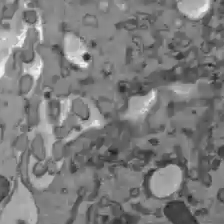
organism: C57BL Mouse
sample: Liver